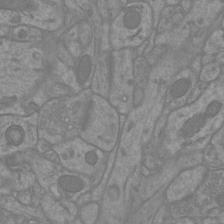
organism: Mouse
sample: Cortical neurons